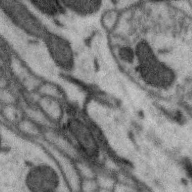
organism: Zebra finch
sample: Brain